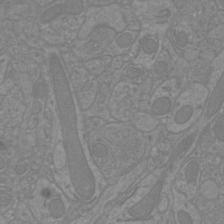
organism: Mouse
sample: Cortical neurons